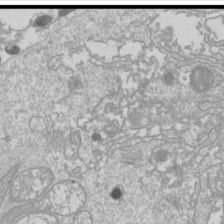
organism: Drosophila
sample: Cell division; meiosis; drosophila spermatocytes